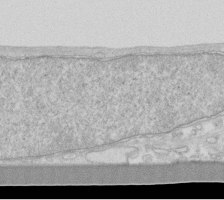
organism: Human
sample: Fibroblast cells